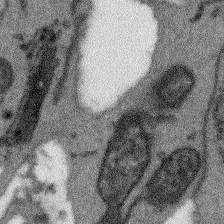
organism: Arabidopsis thaliana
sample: Root tip